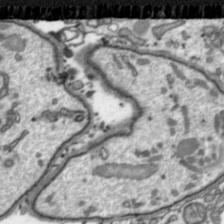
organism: Toxoplasma gondii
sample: Parasites in a vacuole inside a host cell